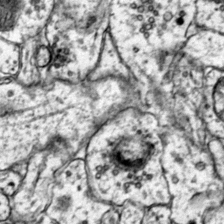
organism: Mouse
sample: Primary visual cortex